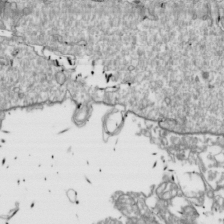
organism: Drosophila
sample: Cell division; meiosis; drosophila spermatocytes